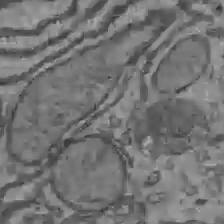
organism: C57BL Mouse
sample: Liver